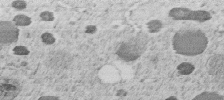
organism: C. elegans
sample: C. elegans embryo early stage